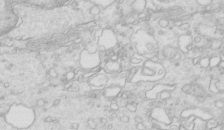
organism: Mouse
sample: Multiciliated cells